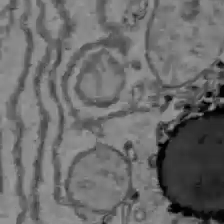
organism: C57BL Mouse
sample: Liver